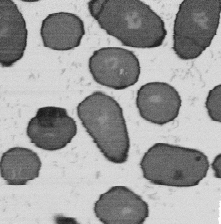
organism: B. subtilis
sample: Bacterial spore